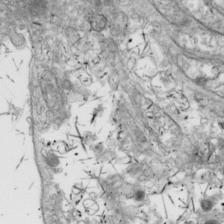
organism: Drosophila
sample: Cell division; meiosis; drosophila spermatocytes